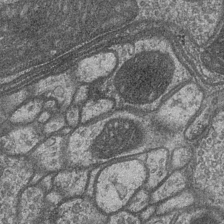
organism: Drosophila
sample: Optic medulla